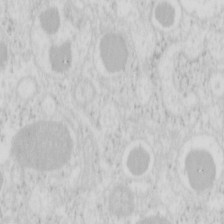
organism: Mouse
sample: Pancreas